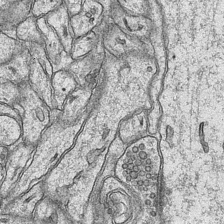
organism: Mouse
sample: CA1 Hippocampus